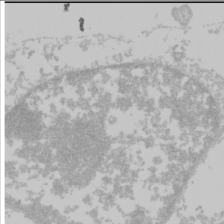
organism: Mouse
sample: Cancer cell death in ED-1 cells